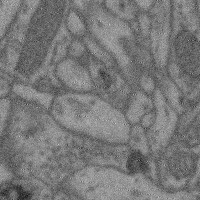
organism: Mouse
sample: Cerebral cortex